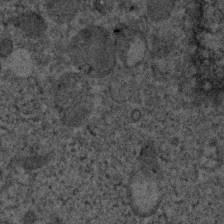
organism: Human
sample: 1205lu cells